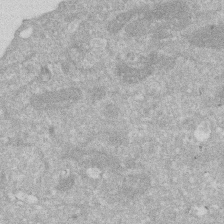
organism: Human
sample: HIV infected U937 cells